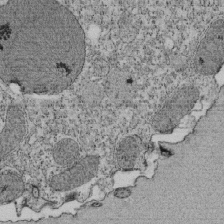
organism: Tetrahymena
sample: Cilia in tetrahymena